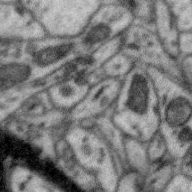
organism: Zebra finch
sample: Brain